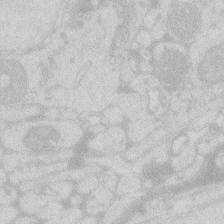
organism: Zebrafish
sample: Macrophage